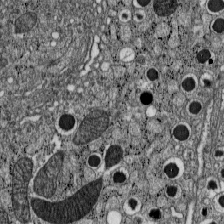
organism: C57BL Mouse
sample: Pancreatic islet